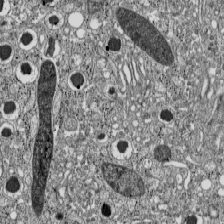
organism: C57BL Mouse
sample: Pancreatic islet